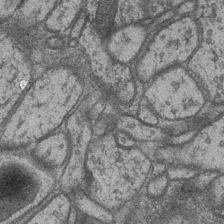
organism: Drosophila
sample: Optic medulla